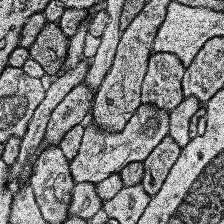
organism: Human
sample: Temporal Lobe